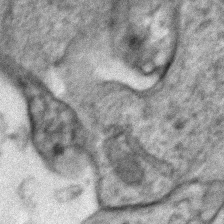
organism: Zebrafish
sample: Zebrafish embryo